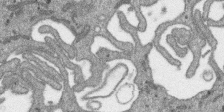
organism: Human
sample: Lung epithelial cells infected with SARS-CoV-2